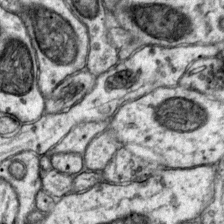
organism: Mouse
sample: Primary visual cortex